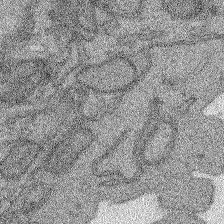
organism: Human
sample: HeLa cells